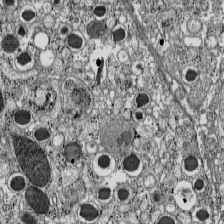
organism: C57BL Mouse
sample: Pancreatic islet